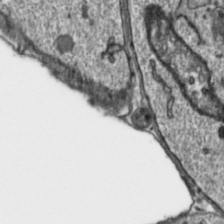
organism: Toxoplasma gondii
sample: Parasites in a vacuole inside a host cell